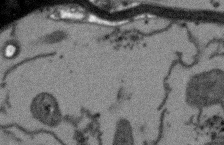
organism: Arabidopsis thaliana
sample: Root tip